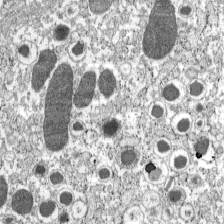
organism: C57BL Mouse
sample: Pancreatic islet